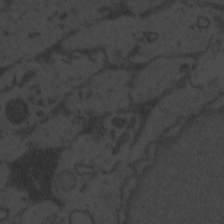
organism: Zebrafish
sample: Macrophage infected with Toxoplasma gondii